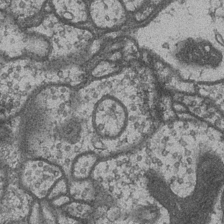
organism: Drosophila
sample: Optic medulla